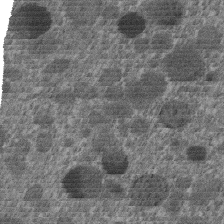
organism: C. elegans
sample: C. elegans embryo early stage